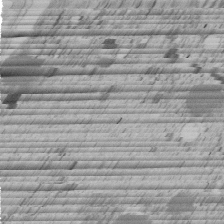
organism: C. elegans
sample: C. elegans embryo early stage